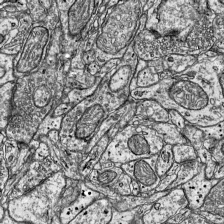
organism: Mouse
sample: Visual Cortex